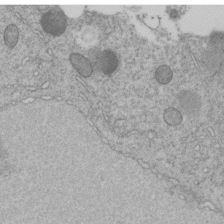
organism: C. elegans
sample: C. elegans embryo early stage